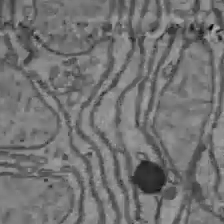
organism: C57BL Mouse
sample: Liver